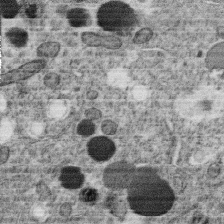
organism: C. elegans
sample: C. elegans oocyte; sperm cells